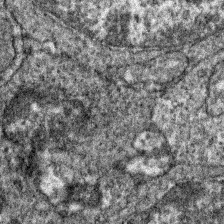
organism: Zebrafish